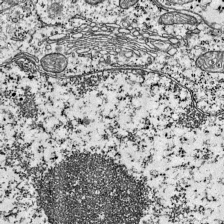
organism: Mouse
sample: Visual Cortex